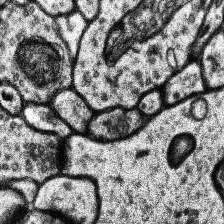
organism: Human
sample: Temporal Lobe